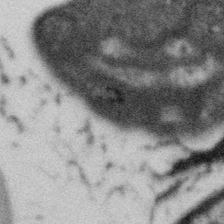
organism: Gemmata obscuriglobus